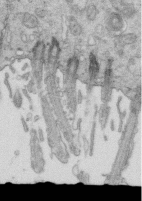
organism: Mouse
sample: Multiciliated cells